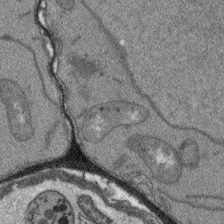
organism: Arabidopsis thaliana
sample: Root tip